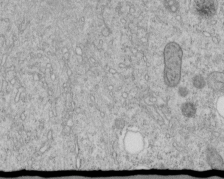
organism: C. elegans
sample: C. elegans embryo early stage